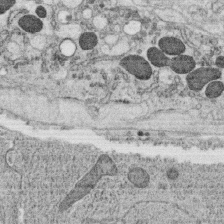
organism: C. elegans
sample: C. elegans oocyte; sperm cells